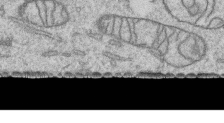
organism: Human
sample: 1205lu cells